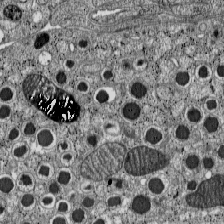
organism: C57BL Mouse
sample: Pancreatic islet